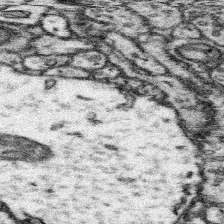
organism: Mouse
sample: Somatosensory cortex neuropil